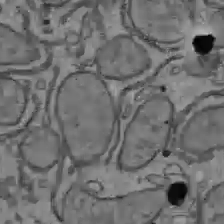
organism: C57BL Mouse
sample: Liver